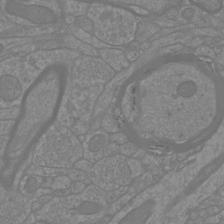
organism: Mouse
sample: Cortical neurons